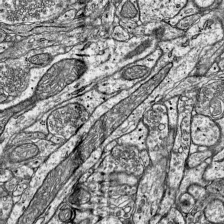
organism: Mouse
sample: Visual Cortex